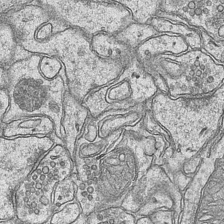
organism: Mouse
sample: CA1 Hippocampus